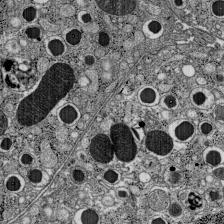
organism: C57BL Mouse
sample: Pancreatic islet